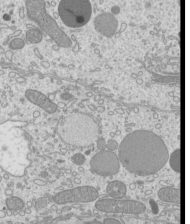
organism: Mouse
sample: Cilia; mouse epididymis